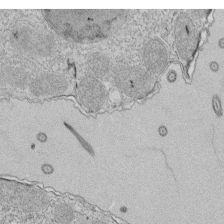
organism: Tetrahymena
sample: Cilia in tetrahymena